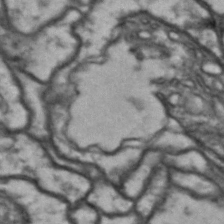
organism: Drosophila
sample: Brain